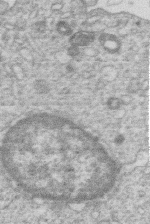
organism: Human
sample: Macrophage cells